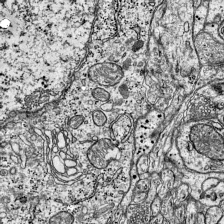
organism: Mouse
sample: Visual Cortex